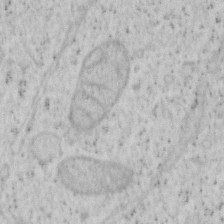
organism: Human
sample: HeLa cells